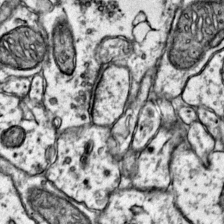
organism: Mouse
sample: Primary visual cortex